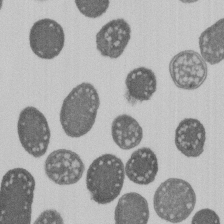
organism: E. coli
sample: Bacterial nucleoid